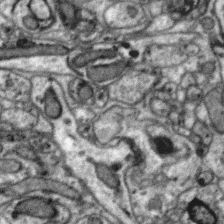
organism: Zebra finch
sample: Brain